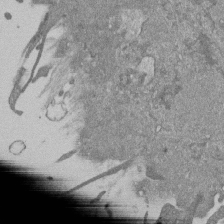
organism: Mouse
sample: ED-1 cell nuclei; centrioles